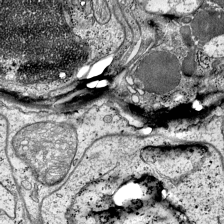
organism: Mouse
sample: Visual Cortex